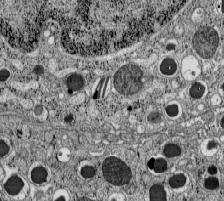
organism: C57BL Mouse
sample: Pancreatic islet